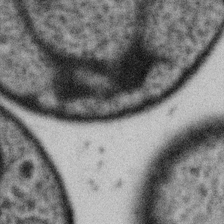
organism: Gemmata obscuriglobus